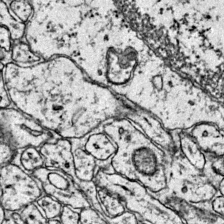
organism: Mouse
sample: Primary visual cortex